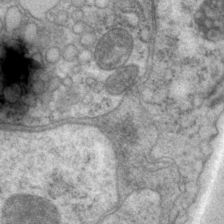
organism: P. pacificus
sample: Pharynx